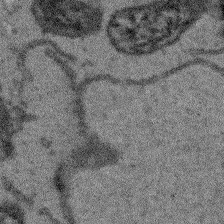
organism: Arabidopsis thaliana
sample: Root tip